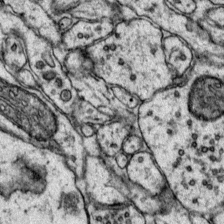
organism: Mouse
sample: Primary visual cortex